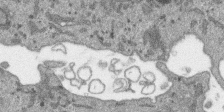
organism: Human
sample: Lung epithelial cells infected with SARS-CoV-2